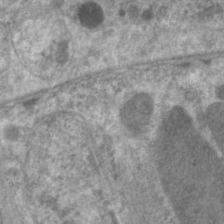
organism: C. elegans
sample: Pharynx